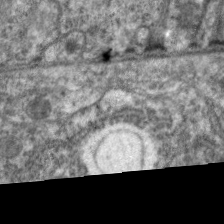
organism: C. elegans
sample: Pharynx